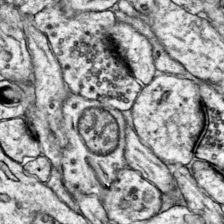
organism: Mouse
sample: Primary visual cortex